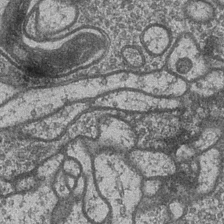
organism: Drosophila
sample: Optic medulla